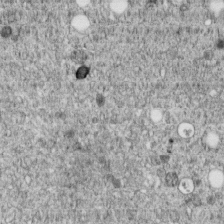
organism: C. elegans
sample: C. elegans embryo early stage